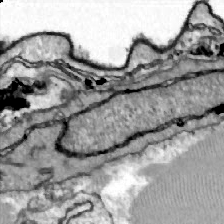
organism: Zebrafish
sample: Actinotrichia fibers